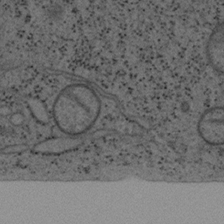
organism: Human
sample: HeLa cells